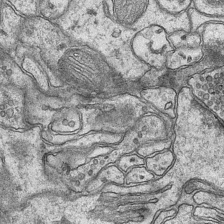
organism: Mouse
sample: CA1 Hippocampus